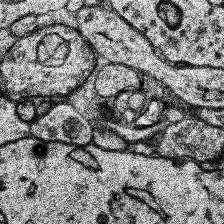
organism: Human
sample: Temporal Lobe